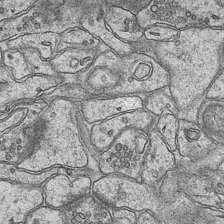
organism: Mouse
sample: CA1 Hippocampus